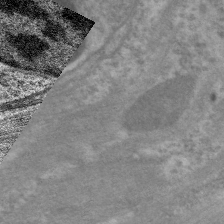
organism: C. elegans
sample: Pharynx